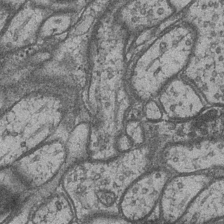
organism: Drosophila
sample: Optic medulla